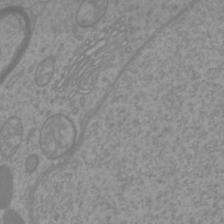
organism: Mouse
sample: Cortical neurons